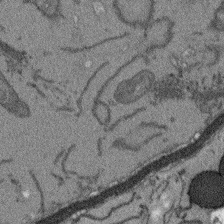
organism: Arabidopsis thaliana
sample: Root tip